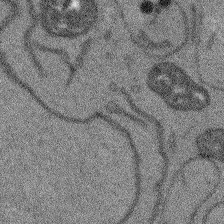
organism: Arabidopsis thaliana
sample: Root tip